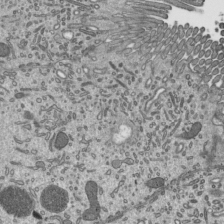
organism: Mouse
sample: Mouse epididymis efferent ductule cilia